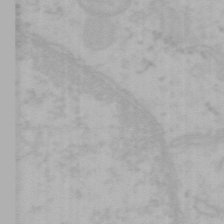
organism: Mouse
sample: Choroid plexus